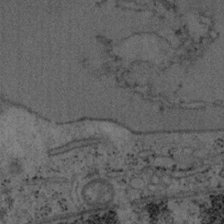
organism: Human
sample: HeLa cells